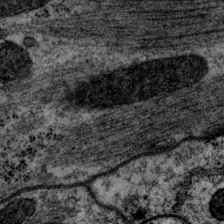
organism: P. pacificus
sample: Pharynx